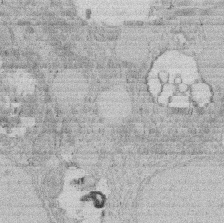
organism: Rat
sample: Salivary granule